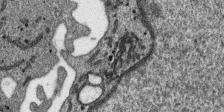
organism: Human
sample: Lung epithelial cells infected with SARS-CoV-2